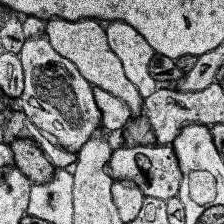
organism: Human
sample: Temporal Lobe